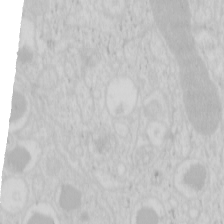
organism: Mouse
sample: Pancreas